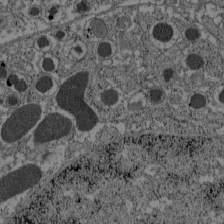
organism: C57BL Mouse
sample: Pancreatic islet